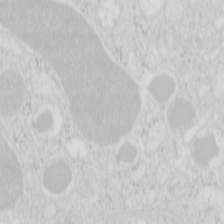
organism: Mouse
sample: Pancreas